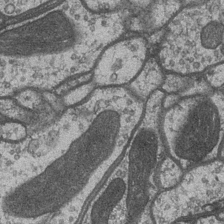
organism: Drosophila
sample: Optic medulla